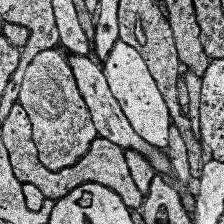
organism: Human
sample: Temporal Lobe